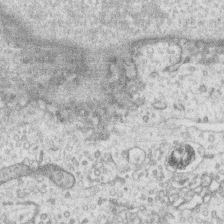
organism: Human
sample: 1205lu cells